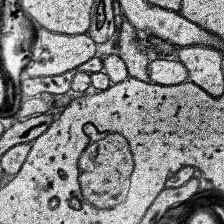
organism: Human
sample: Temporal Lobe